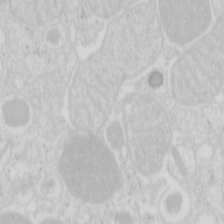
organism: Mouse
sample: Pancreas